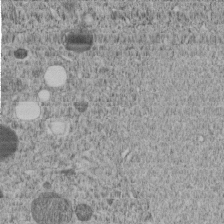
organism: C. elegans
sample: C. elegans embryo early stage